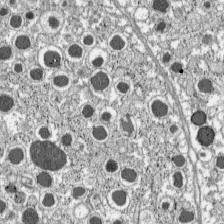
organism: C57BL Mouse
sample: Pancreatic islet